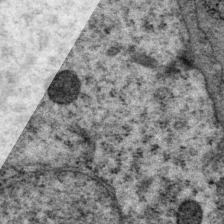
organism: P. pacificus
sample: Pharynx